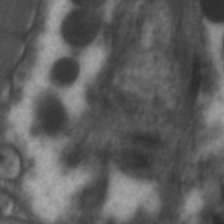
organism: C. elegans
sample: Pharynx